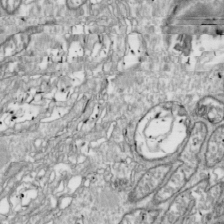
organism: Drosophila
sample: Cell division; meiosis; drosophila spermatocytes